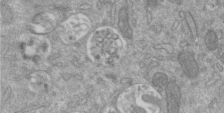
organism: Mouse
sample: ED-1 cell nuclei; centrioles